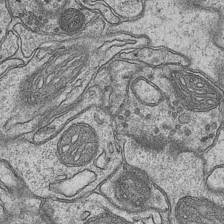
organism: Mouse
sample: CA1 Hippocampus